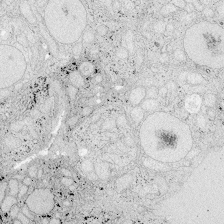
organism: Zebrafish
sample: Whole-Brain